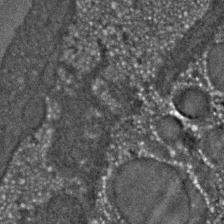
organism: C. elegans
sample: C. elegans embryo